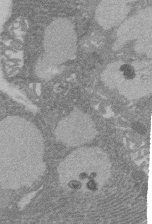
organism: Rat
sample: Salivary granule